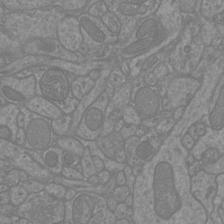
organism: Mouse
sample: Cortical neurons